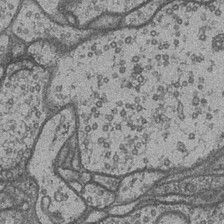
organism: Drosophila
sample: Optic medulla